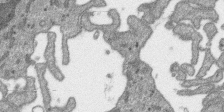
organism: Human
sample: Lung epithelial cells infected with SARS-CoV-2